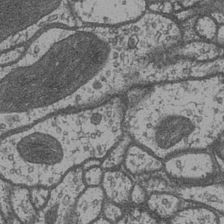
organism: Drosophila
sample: Optic medulla